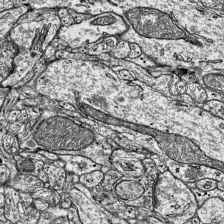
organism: Mouse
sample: Visual Cortex